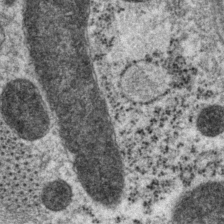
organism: P. pacificus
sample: Pharynx